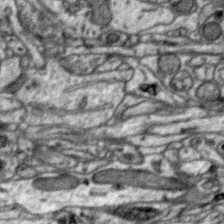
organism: Zebra finch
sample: Brain